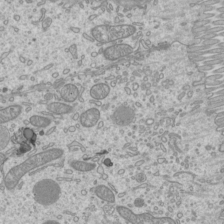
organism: Mouse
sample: Cilia; mouse epididymis